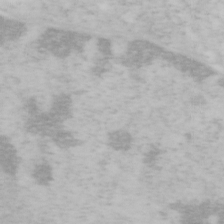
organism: Mouse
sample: OT-I killer T cells with ID8 ovarian cancer cells